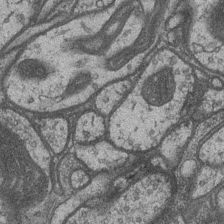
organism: Drosophila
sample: Optic medulla